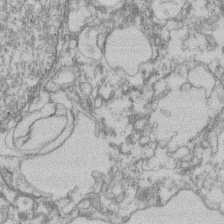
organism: Mouse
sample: T cell stromal cell synapse